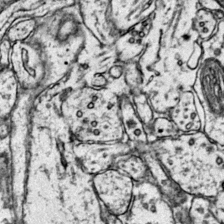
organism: Mouse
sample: Primary visual cortex